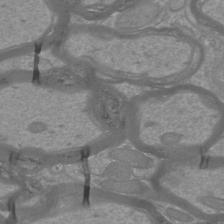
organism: Mouse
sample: Cortical neurons